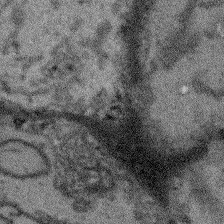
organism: Arabidopsis thaliana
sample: Root tip